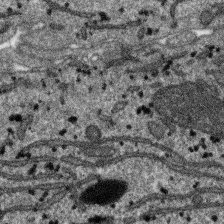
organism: Human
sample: Lung epithelial cells infected with SARS-CoV-2